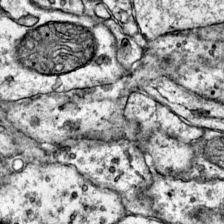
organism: Mouse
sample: Primary visual cortex